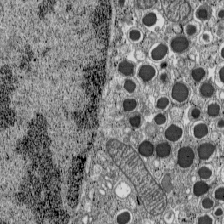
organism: C57BL Mouse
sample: Pancreatic islet